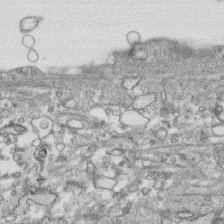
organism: Human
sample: CRL-1474